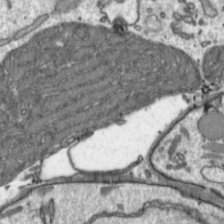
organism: Toxoplasma gondii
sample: Parasites in a vacuole inside a host cell